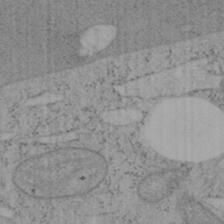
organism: Mouse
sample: OT-I killer T cells with ID8 ovarian cancer cells